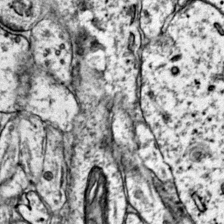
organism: Mouse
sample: Primary visual cortex